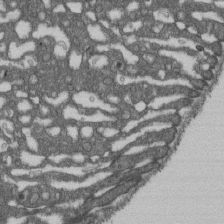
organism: Drosophila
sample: Nephrocyte